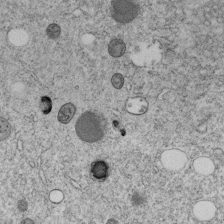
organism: C. elegans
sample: C. elegans embryo early stage